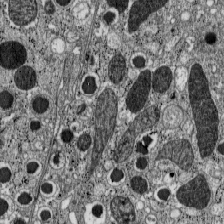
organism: C57BL Mouse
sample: Pancreatic islet